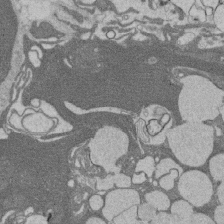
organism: Rat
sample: Salivary granule